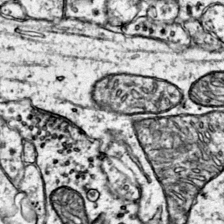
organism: Mouse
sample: Primary visual cortex